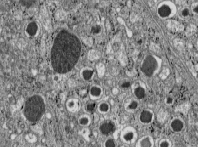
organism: C57BL Mouse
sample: Pancreatic islet